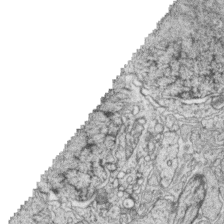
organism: Zebrafish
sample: synaptic ribbons in rod cells and cone cells